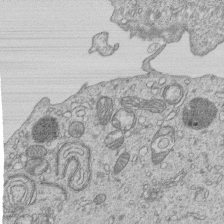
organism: Human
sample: MDA-MB-231 cells